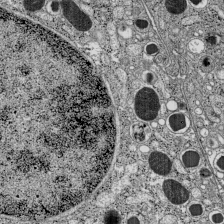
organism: C57BL Mouse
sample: Pancreatic islet